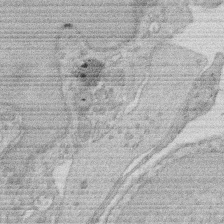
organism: Rat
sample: Salivary granule